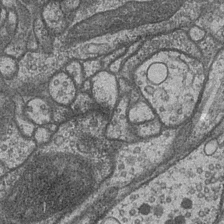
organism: Drosophila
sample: Optic medulla